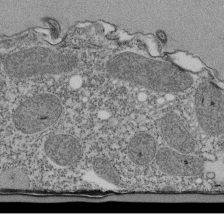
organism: Tetrahymena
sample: Cilia in tetrahymena